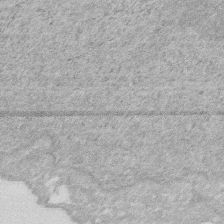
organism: Human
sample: HIV infected U937 cells